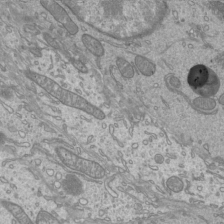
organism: Mouse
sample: Cilia; mouse epididymis